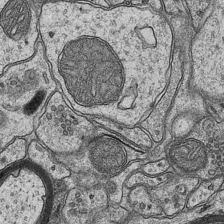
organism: Mouse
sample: CA1 Hippocampus